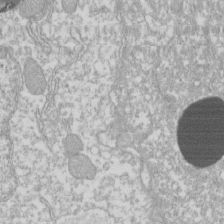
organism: Xenopus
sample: Cilia; centrioles in frog embryo cells